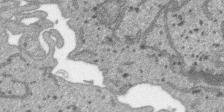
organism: Human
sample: Lung epithelial cells infected with SARS-CoV-2